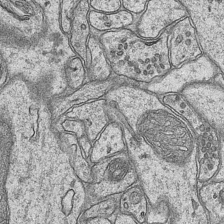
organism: Mouse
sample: CA1 Hippocampus